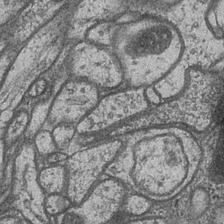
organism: Drosophila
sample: Optic medulla